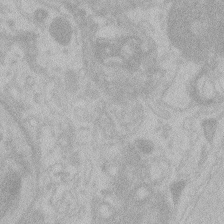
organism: Zebrafish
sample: Macrophage infected with Toxoplasma gondii